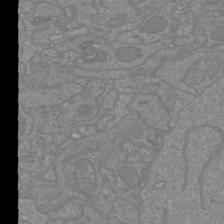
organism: Mouse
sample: Cortical neurons